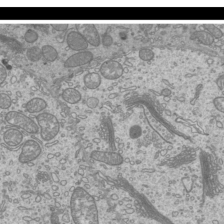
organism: Mouse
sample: Cilia; mouse epididymis